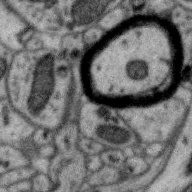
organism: Zebra finch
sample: Brain